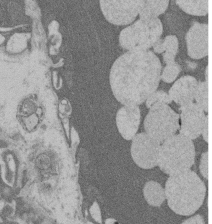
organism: Rat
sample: Salivary granule